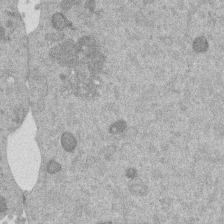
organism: Mouse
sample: Dividing mouse embryo 1 cell stage